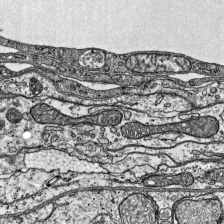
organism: Mouse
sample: Visual Cortex